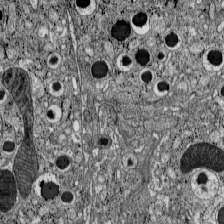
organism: C57BL Mouse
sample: Pancreatic islet